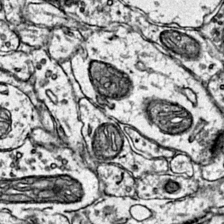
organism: Mouse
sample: Primary visual cortex